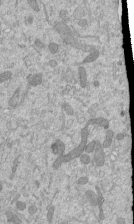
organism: Mouse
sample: ED-1 cell nuclei; centrioles